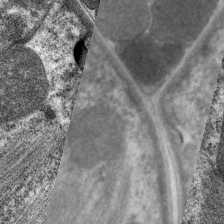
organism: C. elegans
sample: Pharynx